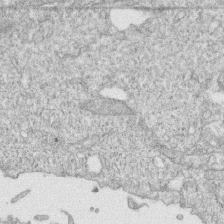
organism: Human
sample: HeLa cell HIV synapse